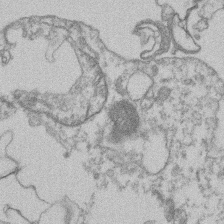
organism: Mouse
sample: T cell stromal cell synapse